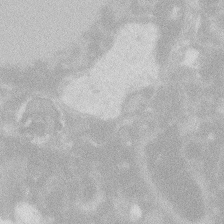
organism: Zebrafish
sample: Macrophage